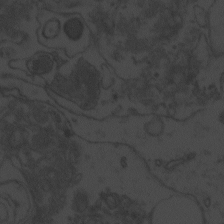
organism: Zebrafish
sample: Macrophage infected with Toxoplasma gondii